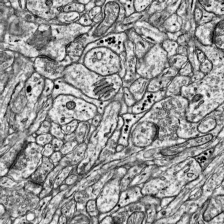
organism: Mouse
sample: Visual Cortex